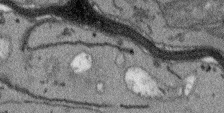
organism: Arabidopsis thaliana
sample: Root tip